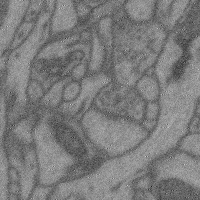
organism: Mouse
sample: Cerebral cortex